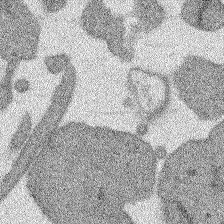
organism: Human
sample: HeLa cells